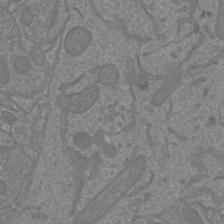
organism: Mouse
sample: Cortical neurons